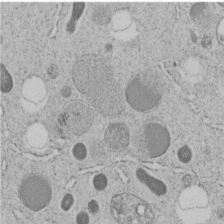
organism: C. elegans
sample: C. elegans embryo early stage